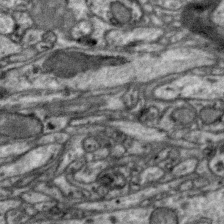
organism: Zebra finch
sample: Brain